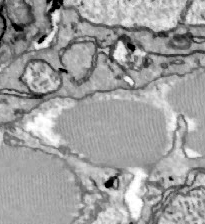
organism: Zebrafish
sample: Actinotrichia fibers